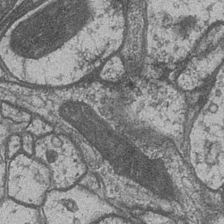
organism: Drosophila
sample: Optic medulla